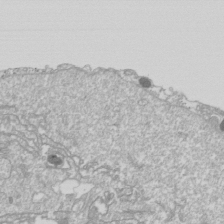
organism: Drosophila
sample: Cell division; meiosis; drosophila spermatocytes